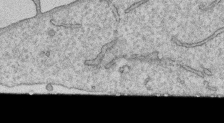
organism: Human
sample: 1205lu cells